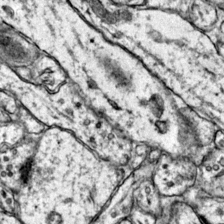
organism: Mouse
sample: Primary visual cortex